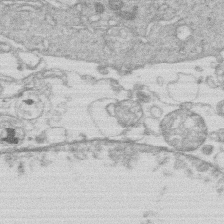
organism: Human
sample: Macrophage cells